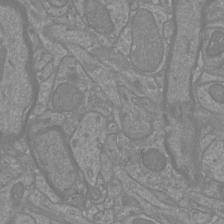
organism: Mouse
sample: Cortical neurons